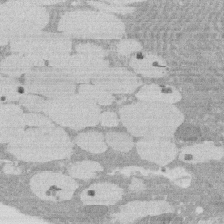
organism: Rat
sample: Salivary granule